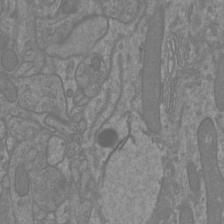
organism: Mouse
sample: Cortical neurons